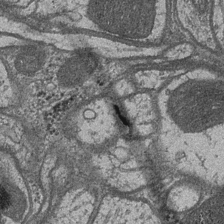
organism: Drosophila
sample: Optic medulla